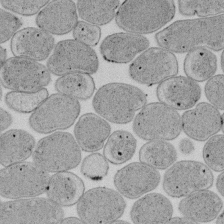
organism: E. coli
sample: Bacterial nucleoid